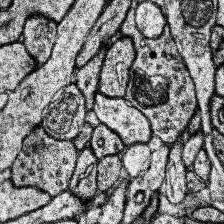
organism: Human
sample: Temporal Lobe